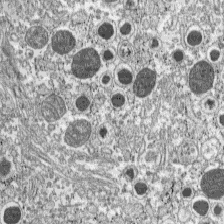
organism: C57BL Mouse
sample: Pancreatic islet